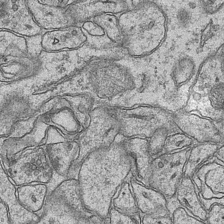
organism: Mouse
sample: CA1 Hippocampus